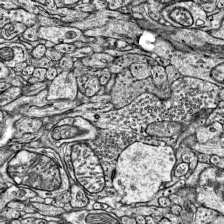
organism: Mouse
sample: Visual Cortex